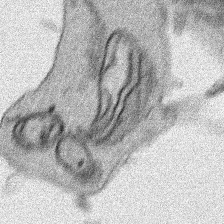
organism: Human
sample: Mitochondria in HCT116 cells